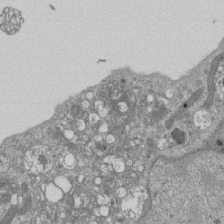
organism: Mouse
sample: ED-1 cell nuclei; centrioles